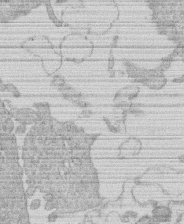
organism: Human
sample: Macrophage cells